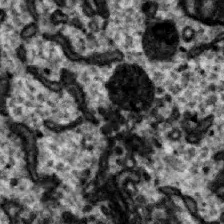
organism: Human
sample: HeLa cells